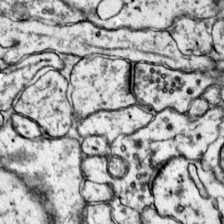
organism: Mouse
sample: Primary visual cortex